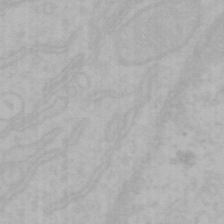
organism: Mouse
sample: Choroid plexus